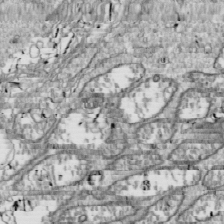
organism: Drosophila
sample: Cell division; meiosis; drosophila spermatocytes